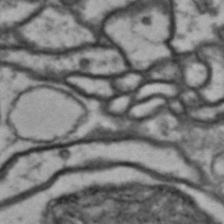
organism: Drosophila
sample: Brain